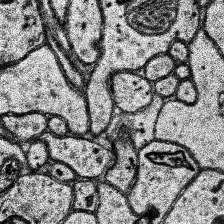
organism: Human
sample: Temporal Lobe